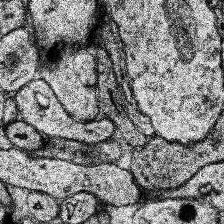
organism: Human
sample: Temporal Lobe